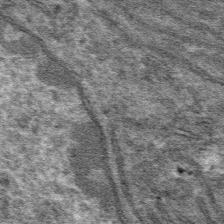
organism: Mouse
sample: Mouse hepatocytes